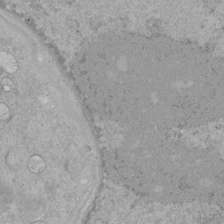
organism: Human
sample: Mitochondria in HCT116 cells